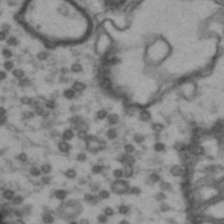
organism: Drosophila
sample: Brain